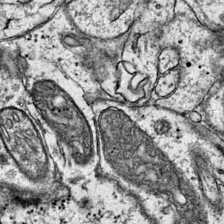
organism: Mouse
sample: Primary visual cortex